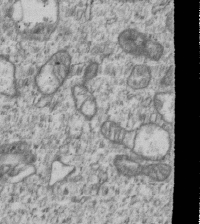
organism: Human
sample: MDA-MB-231 cells